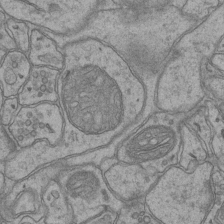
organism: Mouse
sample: CA1 Hippocampus